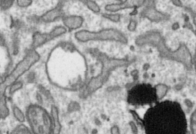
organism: Toxoplasma gondii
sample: Parasites in a vacuole inside a host cell